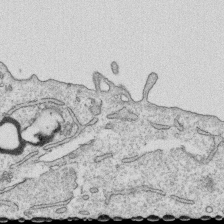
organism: Human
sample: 1205lu cells